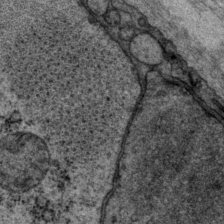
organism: P. pacificus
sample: Pharynx